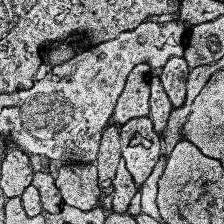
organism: Human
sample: Temporal Lobe